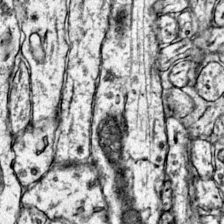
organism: Mouse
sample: Primary visual cortex